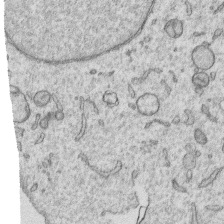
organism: Human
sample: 1205lu cells